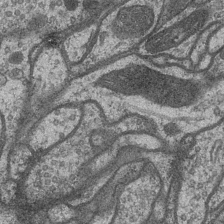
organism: Drosophila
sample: Optic medulla